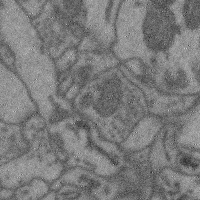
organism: Mouse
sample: Cerebral cortex